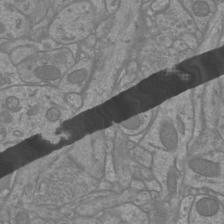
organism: Mouse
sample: Cortical neurons